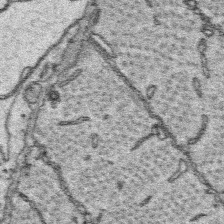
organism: Platynereis dumerilii